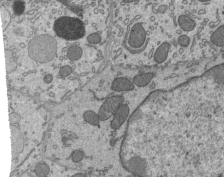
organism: Mouse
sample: Mouse epididymis efferent ductule cilia